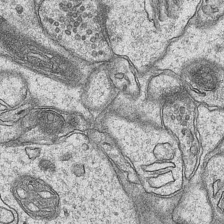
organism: Mouse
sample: CA1 Hippocampus